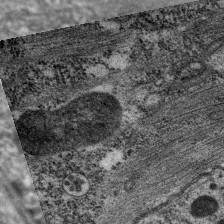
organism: C. elegans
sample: Pharynx